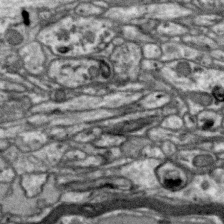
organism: Zebra finch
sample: Brain